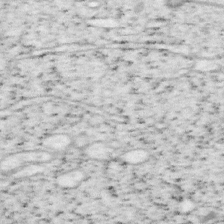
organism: Mouse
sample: OT-I killer T cells with ID8 ovarian cancer cells